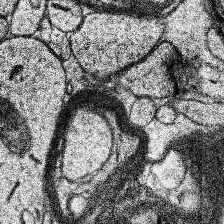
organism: Human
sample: Temporal Lobe